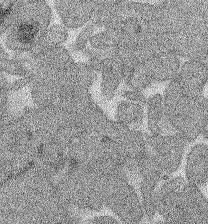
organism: Human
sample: HeLa cells